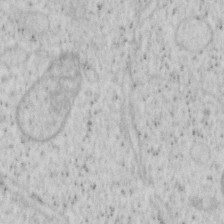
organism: Human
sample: HeLa cells